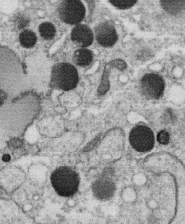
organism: C. elegans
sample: C. elegans oocyte; sperm cells